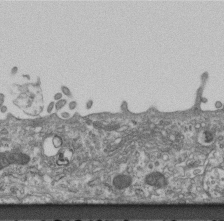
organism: Mouse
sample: Centriole in ependymal cells